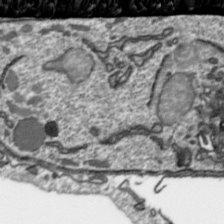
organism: Toxoplasma gondii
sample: Parasites in a vacuole inside a host cell